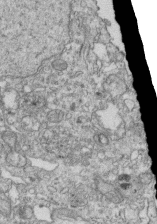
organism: Human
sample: HeLa cell HIV synapse